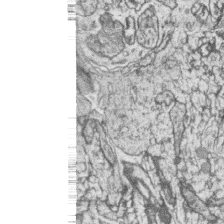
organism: Zebrafish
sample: synaptic ribbons in rod cells and cone cells